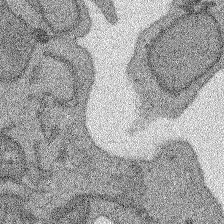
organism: Human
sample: HeLa cells